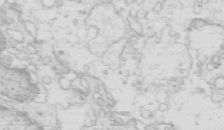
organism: Mouse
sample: Multiciliated cells